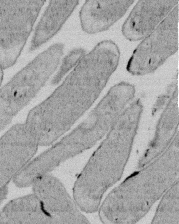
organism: E. coli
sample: Bacterial nucleoid